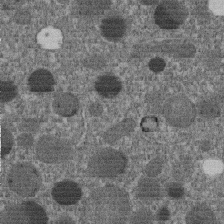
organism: C. elegans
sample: C. elegans embryo early stage